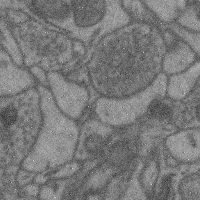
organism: Mouse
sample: Cerebral cortex